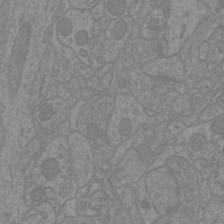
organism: Mouse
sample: Cortical neurons